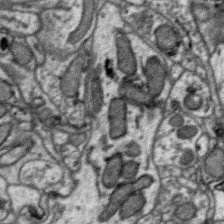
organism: Zebra finch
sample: Brain